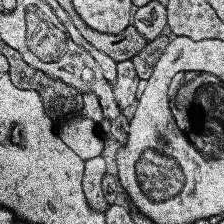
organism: Human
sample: Temporal Lobe